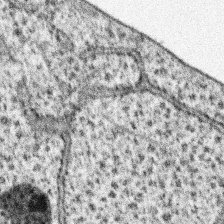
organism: Human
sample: HeLa cells